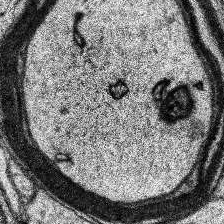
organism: Human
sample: Temporal Lobe